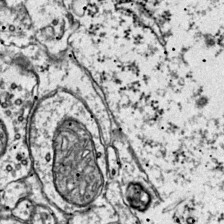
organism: Mouse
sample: Primary visual cortex